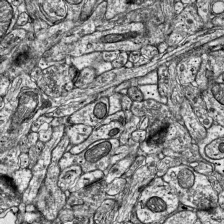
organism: Mouse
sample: Visual Cortex